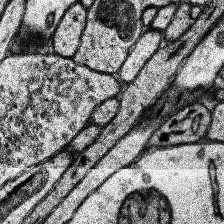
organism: Human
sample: Temporal Lobe